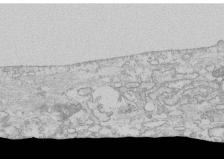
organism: Human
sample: CRL-1474